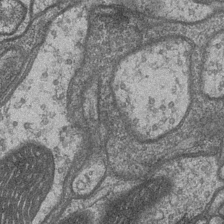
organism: Drosophila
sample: Optic medulla